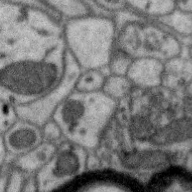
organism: Zebra finch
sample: Brain